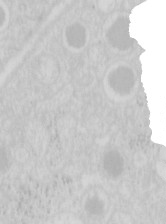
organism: Mouse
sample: Pancreas